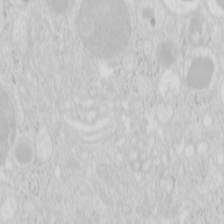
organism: Mouse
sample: Pancreas